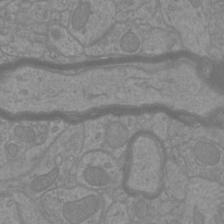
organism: Mouse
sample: Cortical neurons